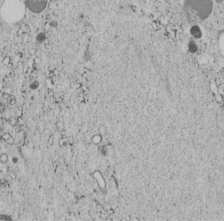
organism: C. elegans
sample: C. elegans embryo early stage